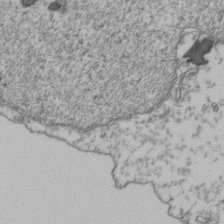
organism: Human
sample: Activated Jurkat CD4+ T cells